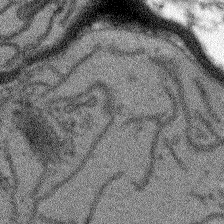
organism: Arabidopsis thaliana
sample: Root tip